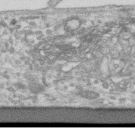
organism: Human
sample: Centriole in RPE cells